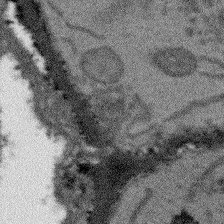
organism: Arabidopsis thaliana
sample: Root tip